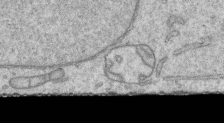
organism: Human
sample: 1205lu cells